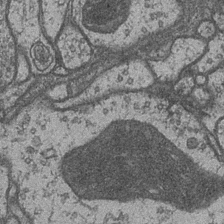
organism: Drosophila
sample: Optic medulla